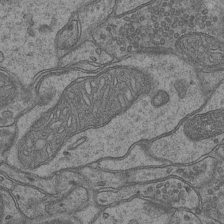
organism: Mouse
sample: CA1 Hippocampus